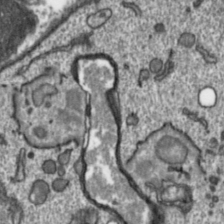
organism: Toxoplasma gondii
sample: Parasites in a vacuole inside a host cell